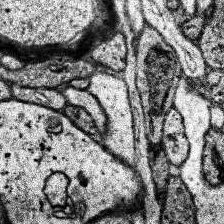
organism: Human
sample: Temporal Lobe